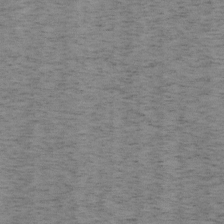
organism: Mouse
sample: OT-I killer T cells with ID8 ovarian cancer cells